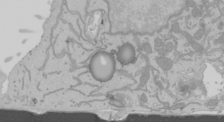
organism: Mouse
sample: Cancer cell death in ED-1 cells